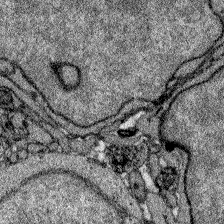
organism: Zebrafish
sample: Larval olfactory bulb